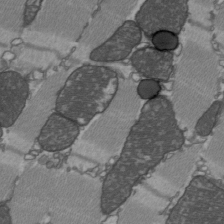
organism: C57BL Mouse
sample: Heart